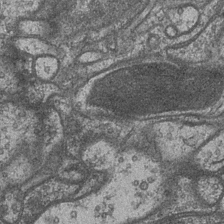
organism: Drosophila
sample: Optic medulla